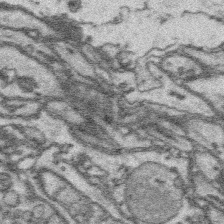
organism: Platynereis dumerilii